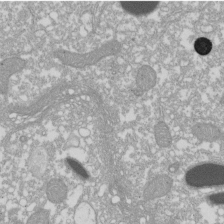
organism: Xenopus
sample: Cilia; centrioles in frog embryo cells